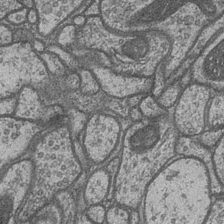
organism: Drosophila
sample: Optic medulla